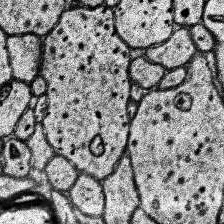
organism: Human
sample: Temporal Lobe